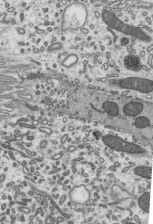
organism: Mouse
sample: Mouse epididymis efferent ductule cilia